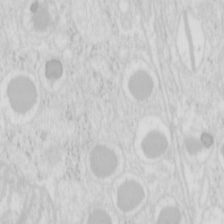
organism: Mouse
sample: Pancreas